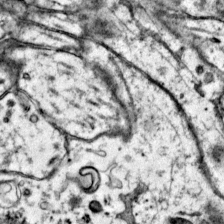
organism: Mouse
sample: Primary visual cortex